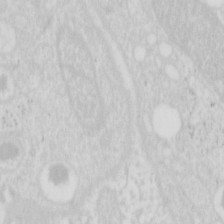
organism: Mouse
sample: Pancreas